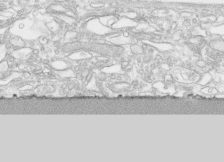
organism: Human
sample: CRL-1474